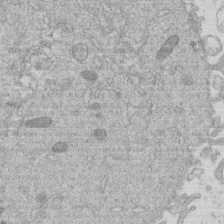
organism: Human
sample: Macrophage cells